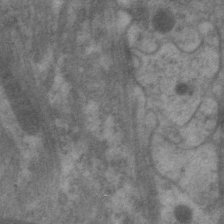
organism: C. elegans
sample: Pharynx